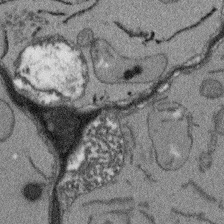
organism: Arabidopsis thaliana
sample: Root tip